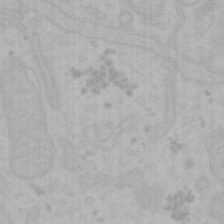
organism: Mouse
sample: Choroid plexus